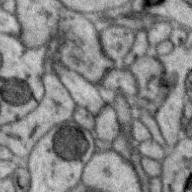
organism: Zebra finch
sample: Brain